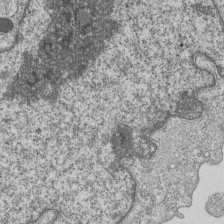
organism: Human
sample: MDA-MB-231 cells